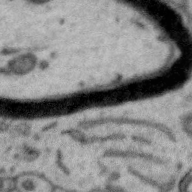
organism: Zebra finch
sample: Brain